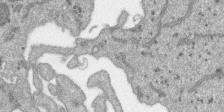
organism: Human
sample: Lung epithelial cells infected with SARS-CoV-2